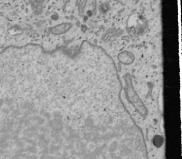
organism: Human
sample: Mitochondria in U2OS cells